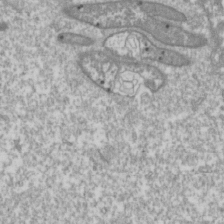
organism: Drosophila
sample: Cell division; meiosis; drosophila spermatocytes